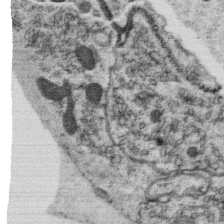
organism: C. elegans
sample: C. elegans oocyte; sperm cells